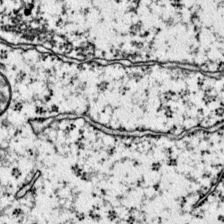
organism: Mouse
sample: Primary visual cortex